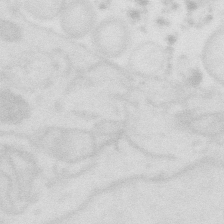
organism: Human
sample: HeLa cells